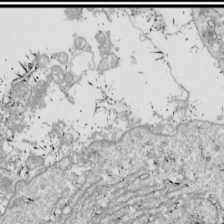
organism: Drosophila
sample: Cell division; meiosis; drosophila spermatocytes